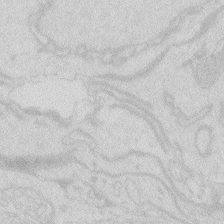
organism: Zebrafish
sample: Macrophage